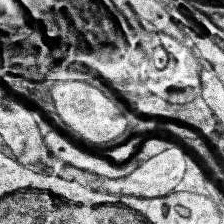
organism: Human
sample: Temporal Lobe